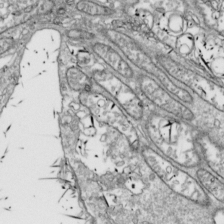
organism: Drosophila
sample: Cell division; meiosis; drosophila spermatocytes